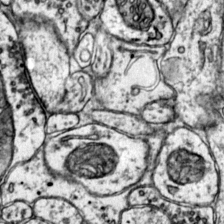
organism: Mouse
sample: Primary visual cortex